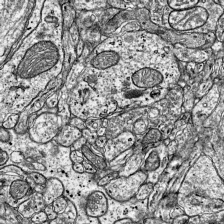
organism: Mouse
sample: Visual Cortex